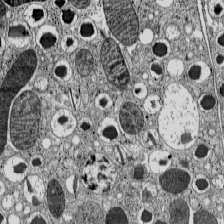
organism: C57BL Mouse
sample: Pancreatic islet